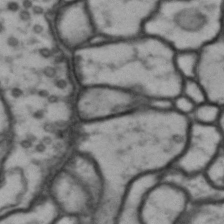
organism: Drosophila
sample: Brain